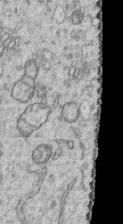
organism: Human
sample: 1205lu cells